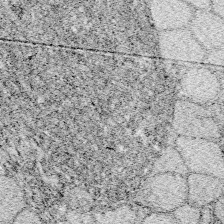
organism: Zebrafish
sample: Whole-Brain